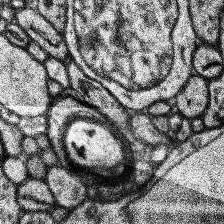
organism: Human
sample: Temporal Lobe